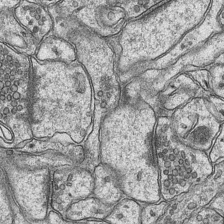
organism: Mouse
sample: CA1 Hippocampus